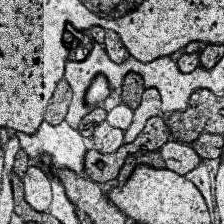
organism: Human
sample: Temporal Lobe